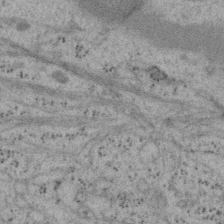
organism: Human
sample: HeLa cells